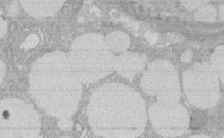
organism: Rat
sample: Salivary granule